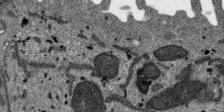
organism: Human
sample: Lung epithelial cells, uninfected (mock) control